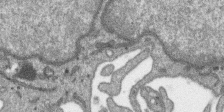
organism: Human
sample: Lung epithelial cells infected with SARS-CoV-2